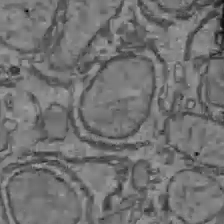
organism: C57BL Mouse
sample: Liver